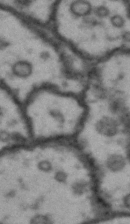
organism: Drosophila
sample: Brain